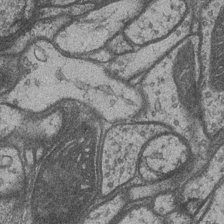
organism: Drosophila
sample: Optic medulla